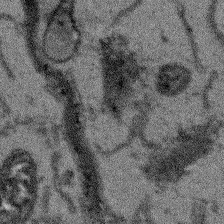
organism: Arabidopsis thaliana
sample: Root tip